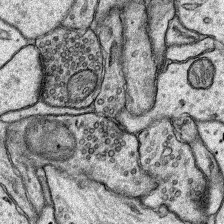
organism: Rat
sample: Hippocampus